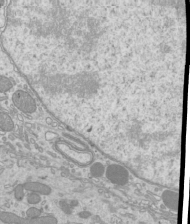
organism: Mouse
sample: Cilia; mouse epididymis